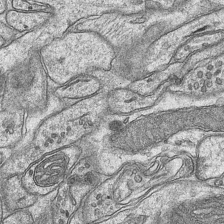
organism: Mouse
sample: CA1 Hippocampus